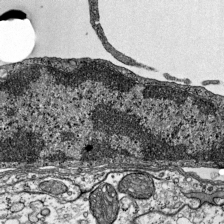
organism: Mouse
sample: Visual Cortex